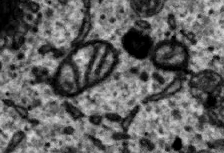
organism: Human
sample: HeLa cells